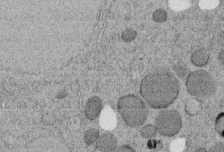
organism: C. elegans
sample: C. elegans embryo early stage